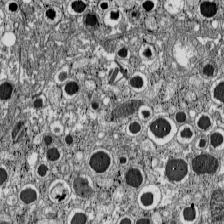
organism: C57BL Mouse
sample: Pancreatic islet